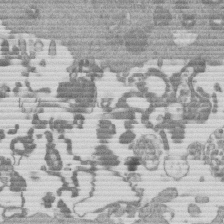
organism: Mouse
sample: Dividing mouse embryo 1 cell stage